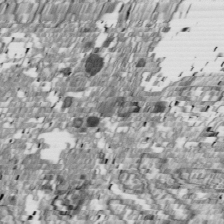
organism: Drosophila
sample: Cell division; meiosis; drosophila spermatocytes